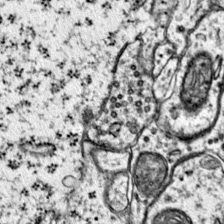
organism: Mouse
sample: Primary visual cortex